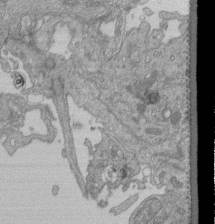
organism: Human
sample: Retinal organoid Rod and Cone cells